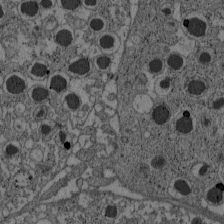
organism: C57BL Mouse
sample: Pancreatic islet